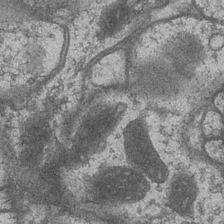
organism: Drosophila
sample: Optic medulla